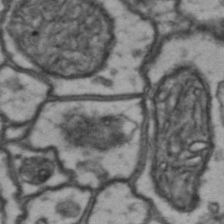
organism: Drosophila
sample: Brain